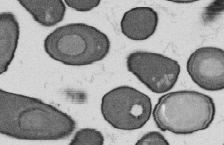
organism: B. subtilis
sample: Bacterial spore